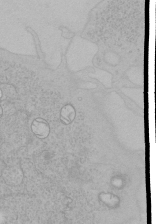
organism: Human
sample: Mitochondria in HCT116 cells